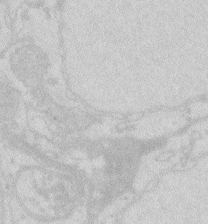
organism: Zebrafish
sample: Macrophage